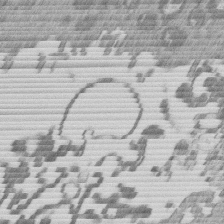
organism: Mouse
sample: Dividing mouse embryo 1 cell stage